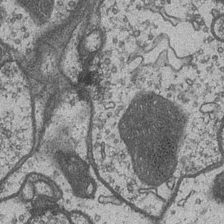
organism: Drosophila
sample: Optic medulla